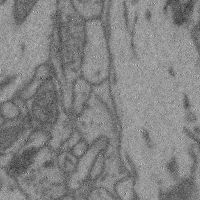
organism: Mouse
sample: Cerebral cortex